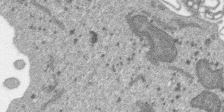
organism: Human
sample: Lung epithelial cells infected with SARS-CoV-2